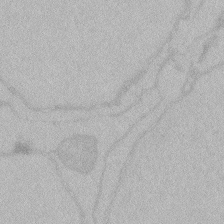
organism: Zebrafish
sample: Macrophage infected with Toxoplasma gondii